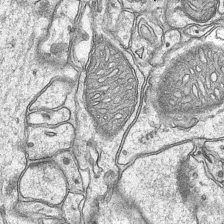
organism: Mouse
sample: CA1 Hippocampus